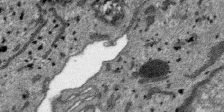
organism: Human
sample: Lung epithelial cells, uninfected (mock) control